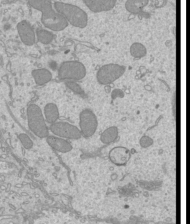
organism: Mouse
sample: Cilia; mouse epididymis